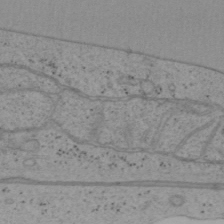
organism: Human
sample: HeLa cells